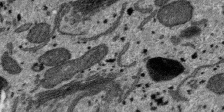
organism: Human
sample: Lung epithelial cells, uninfected (mock) control